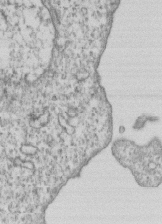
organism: Human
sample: MDA-MB-231 cells